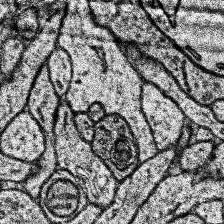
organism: Human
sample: Temporal Lobe